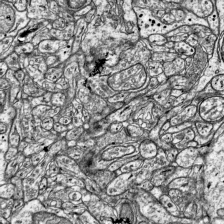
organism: Mouse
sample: Visual Cortex